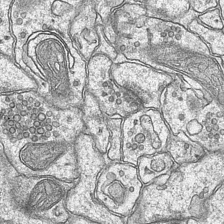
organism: Mouse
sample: CA1 Hippocampus